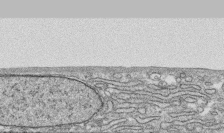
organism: Human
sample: CRL-1474